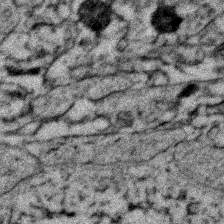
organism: Zebrafish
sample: Zebrafish embryo